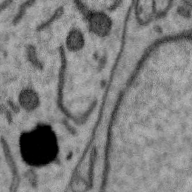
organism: Zebra finch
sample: Brain